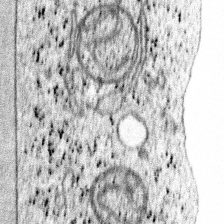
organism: Human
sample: HeLa cells